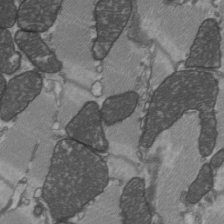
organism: C57BL Mouse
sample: Heart